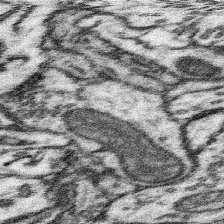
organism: Mouse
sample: Somatosensory cortex neuropil